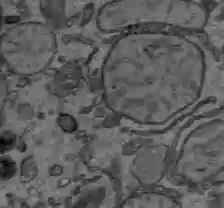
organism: C57BL Mouse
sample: Liver